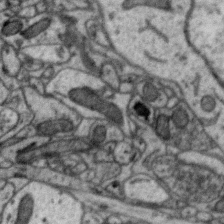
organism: Zebra finch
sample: Brain